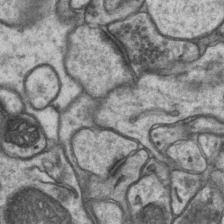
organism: Mouse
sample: CA1 Hippocampus